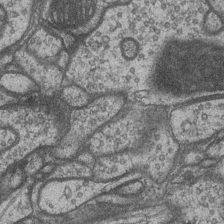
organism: Drosophila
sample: Optic medulla